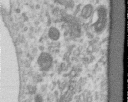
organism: Human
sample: Centriole in RPE cells